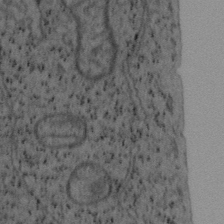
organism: Human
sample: HeLa cells